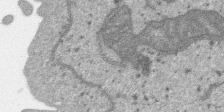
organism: Human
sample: Lung epithelial cells infected with SARS-CoV-2